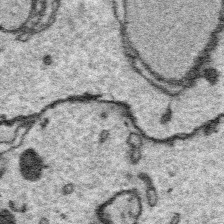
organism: Platynereis dumerilii